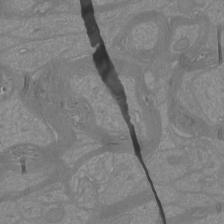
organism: Mouse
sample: Cortical neurons